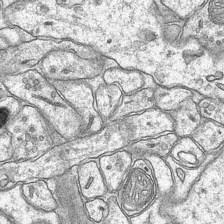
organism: Mouse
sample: CA1 Hippocampus